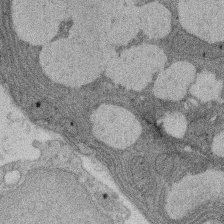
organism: Rat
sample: Salivary granule